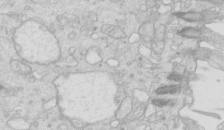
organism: Mouse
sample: Multiciliated cells